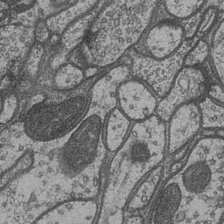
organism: Drosophila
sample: Optic medulla